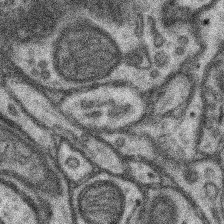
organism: Mouse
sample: Somatosensory cortex neuropil